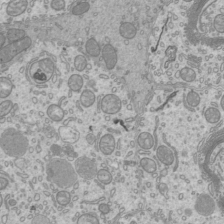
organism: Mouse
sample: Cilia; mouse epididymis